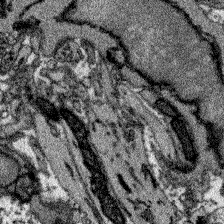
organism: Zebrafish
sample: Larval olfactory bulb